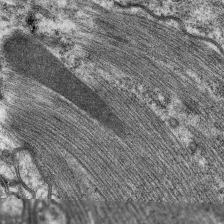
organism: C. elegans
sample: Pharynx